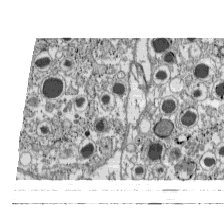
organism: C57BL Mouse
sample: Pancreatic islet